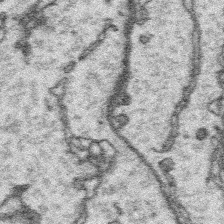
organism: Platynereis dumerilii